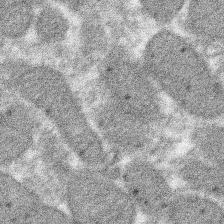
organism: Xenopus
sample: Cilia; centrioles in frog embryo cells